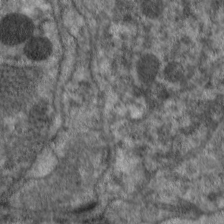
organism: C. elegans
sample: Pharynx